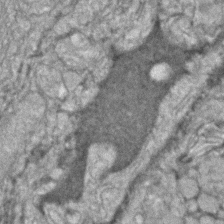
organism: Zebrafish